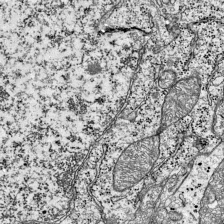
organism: Mouse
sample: Visual Cortex